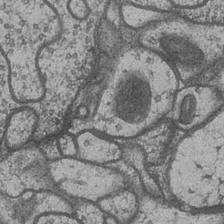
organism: Drosophila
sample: Optic medulla